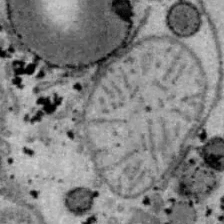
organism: Mouse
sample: Liver from an obese (ob/ob) mouse